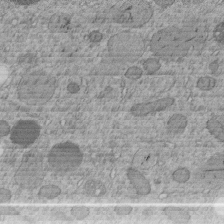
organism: C. elegans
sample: C. elegans embryo early stage